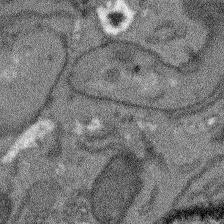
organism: Arabidopsis thaliana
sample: Root tip